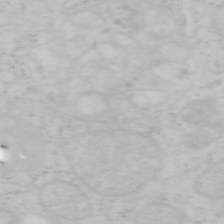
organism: Mouse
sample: OT-I killer T cells with ID8 ovarian cancer cells